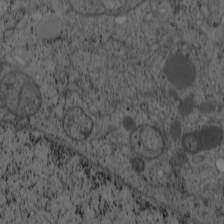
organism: African green monkey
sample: COS-7 cells